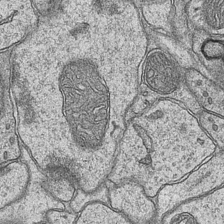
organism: Mouse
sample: CA1 Hippocampus